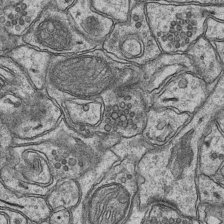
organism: Mouse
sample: CA1 Hippocampus